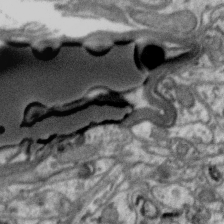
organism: Zebra finch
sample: Brain